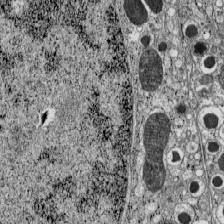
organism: C57BL Mouse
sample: Pancreatic islet